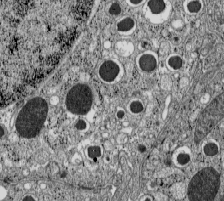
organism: C57BL Mouse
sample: Pancreatic islet